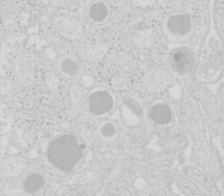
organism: Mouse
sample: Pancreas